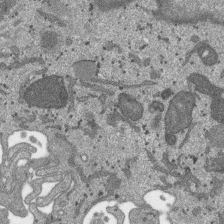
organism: Human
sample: Lung epithelial cells infected with SARS-CoV-2